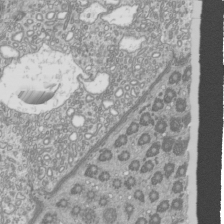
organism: Mouse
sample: Cilia; mouse epididymis